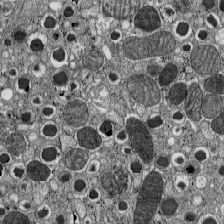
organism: C57BL Mouse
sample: Pancreatic islet